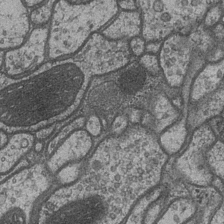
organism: Drosophila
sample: Optic medulla